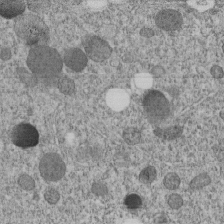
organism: C. elegans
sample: C. elegans embryo early stage